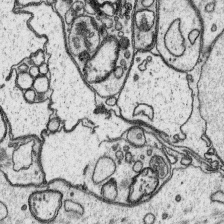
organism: Platynereis dumerilii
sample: Parapodia